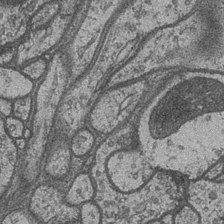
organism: Drosophila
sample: Optic medulla